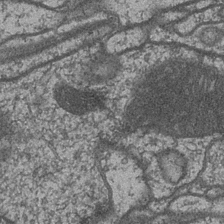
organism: Drosophila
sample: Optic medulla